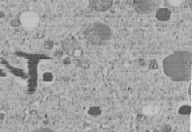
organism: C. elegans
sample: C. elegans embryo early stage